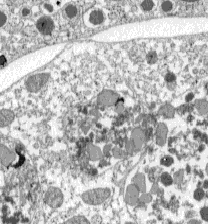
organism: C57BL Mouse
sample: Pancreatic islet